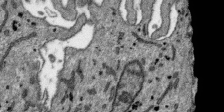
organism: Human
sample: Lung epithelial cells, uninfected (mock) control